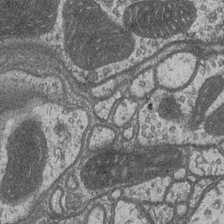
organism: Drosophila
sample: Optic medulla